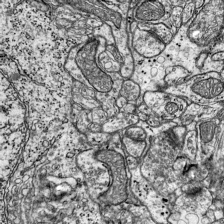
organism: Mouse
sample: Visual Cortex